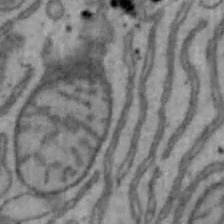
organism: Mouse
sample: Liver